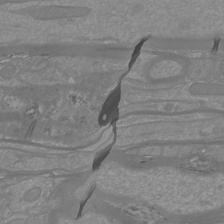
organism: Mouse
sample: Cortical neurons